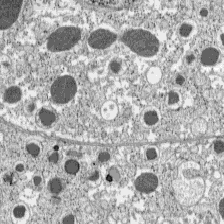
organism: C57BL Mouse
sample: Pancreatic islet